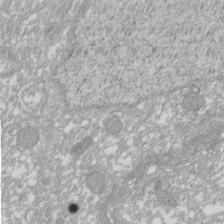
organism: Xenopus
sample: Cilia; centrioles in frog embryo cells